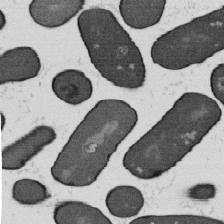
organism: B. subtilis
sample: Bacterial spore